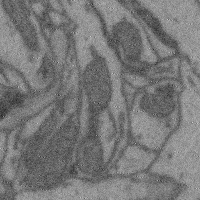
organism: Mouse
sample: Cerebral cortex